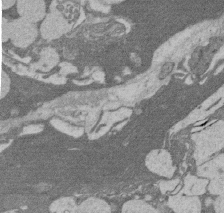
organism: Rat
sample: Salivary granule